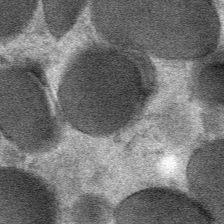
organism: Mouse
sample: Mouse Salivary gland